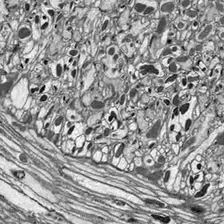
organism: Drosophila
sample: Optic lobe